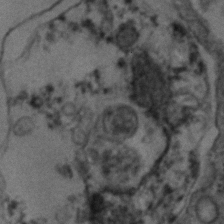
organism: Human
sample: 1205lu cells